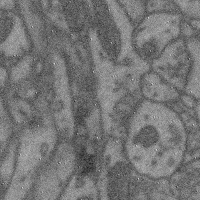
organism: Mouse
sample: Cerebral cortex